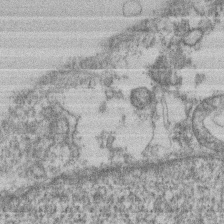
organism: Mouse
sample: T cell stromal cell synapse